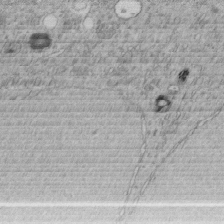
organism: C. elegans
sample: C. elegans embryo early stage